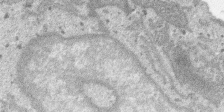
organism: Human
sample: Lung epithelial cells infected with SARS-CoV-2